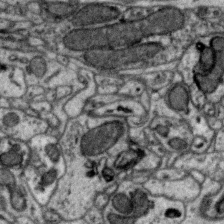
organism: Zebra finch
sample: Brain